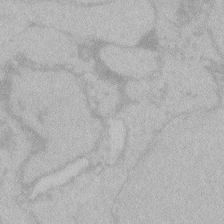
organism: Zebrafish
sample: Macrophage infected with Toxoplasma gondii